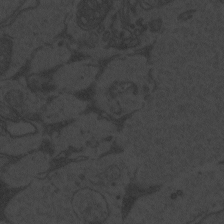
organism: Zebrafish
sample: Macrophage infected with Toxoplasma gondii